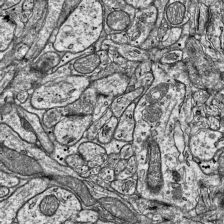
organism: Mouse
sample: Visual Cortex